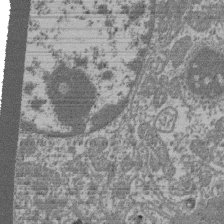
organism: Mouse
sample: Glomerulus